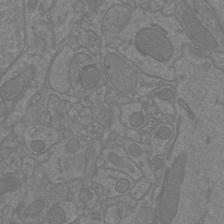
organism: Mouse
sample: Cortical neurons